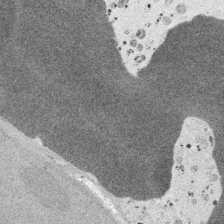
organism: Embia sp.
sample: Silk gland